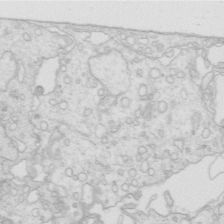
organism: Mouse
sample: Multiciliated cells